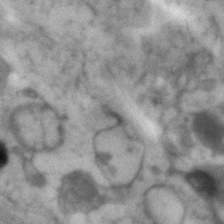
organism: Human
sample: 1205lu cells